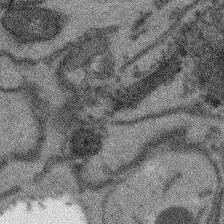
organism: Arabidopsis thaliana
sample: Root tip